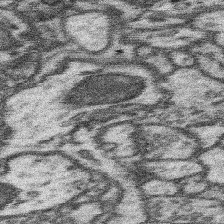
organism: Mouse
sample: Somatosensory cortex neuropil